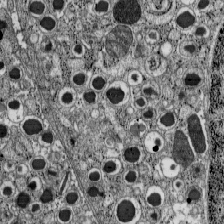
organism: C57BL Mouse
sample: Pancreatic islet